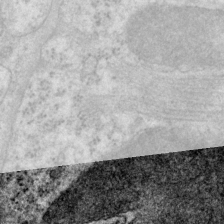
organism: P. pacificus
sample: Pharynx